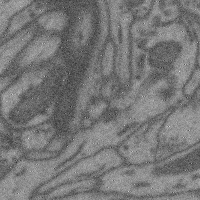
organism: Mouse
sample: Cerebral cortex